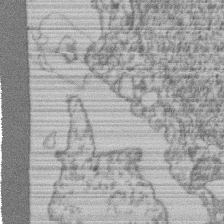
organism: Mouse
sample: T cell stromal cell synapse